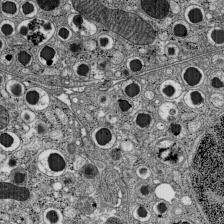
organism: C57BL Mouse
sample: Pancreatic islet